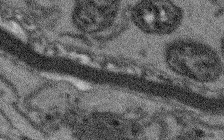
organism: Arabidopsis thaliana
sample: Root tip